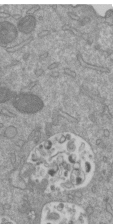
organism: Mouse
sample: ED-1 cell nuclei; centrioles